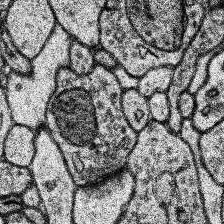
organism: Human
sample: Temporal Lobe